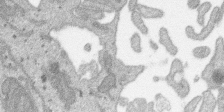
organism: Human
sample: Lung epithelial cells infected with SARS-CoV-2